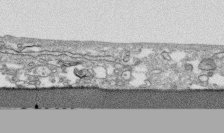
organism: Human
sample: CRL-1474